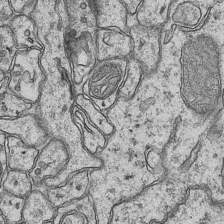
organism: Mouse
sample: CA1 Hippocampus